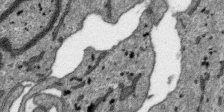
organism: Human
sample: Lung epithelial cells, uninfected (mock) control